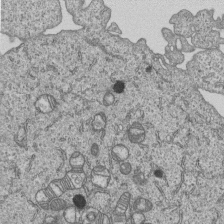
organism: Human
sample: MDA-MB-231 cells